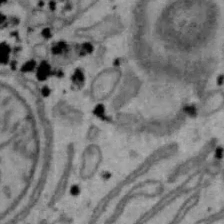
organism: Mouse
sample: Liver